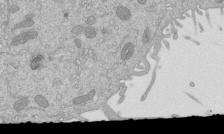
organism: Mouse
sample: ED-1 cell nuclei; centrioles